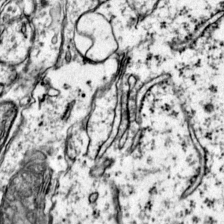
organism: Mouse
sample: Primary visual cortex